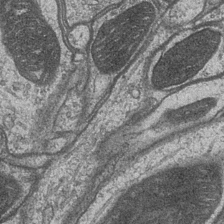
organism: Drosophila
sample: Optic medulla